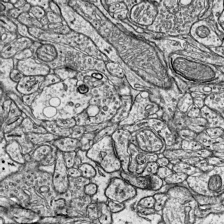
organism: Mouse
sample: Visual Cortex